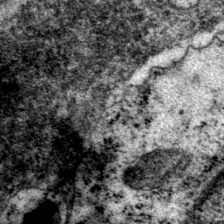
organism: P. pacificus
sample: Pharynx